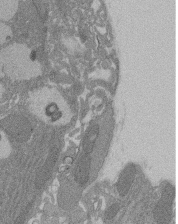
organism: Rat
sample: Salivary granule